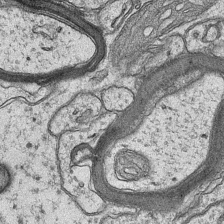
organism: Mouse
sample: CA1 Hippocampus